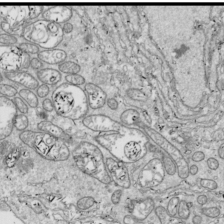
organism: Drosophila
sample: Cell division; meiosis; drosophila spermatocytes